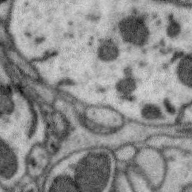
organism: Zebra finch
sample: Brain